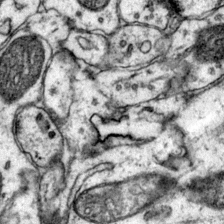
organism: Mouse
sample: Primary visual cortex